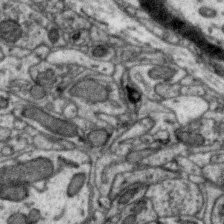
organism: Zebra finch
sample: Brain